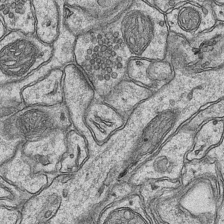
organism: Mouse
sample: CA1 Hippocampus